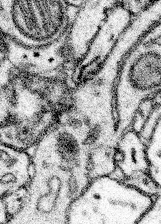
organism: Mouse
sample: Somatosensory cortex neuropil